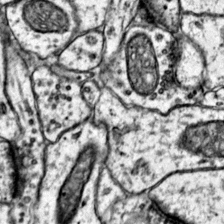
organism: Mouse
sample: Primary visual cortex